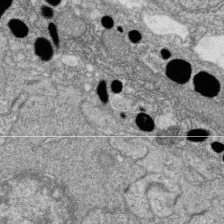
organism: Zebrafish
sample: Cilia; retinal pigment epithelium